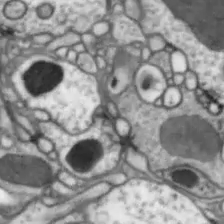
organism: Drosophila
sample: Optic lobe